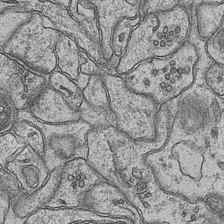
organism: Mouse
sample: CA1 Hippocampus